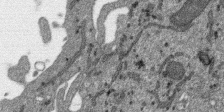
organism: Human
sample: Lung epithelial cells infected with SARS-CoV-2